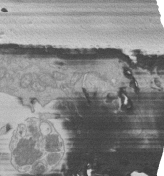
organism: Human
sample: Retinal organoid Rod and Cone cells